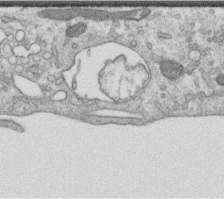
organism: Human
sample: Centriole in RPE cells